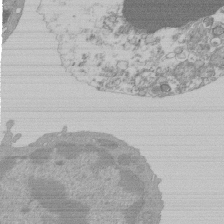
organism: Mouse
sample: Activated Pmel transgenic CD8+ T Cells